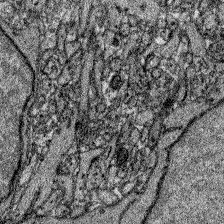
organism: Zebrafish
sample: Larval olfactory bulb